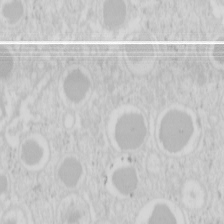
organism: Mouse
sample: Pancreas